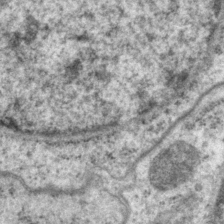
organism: P. pacificus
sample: Pharynx